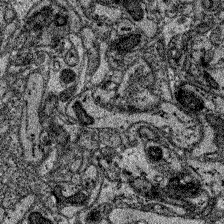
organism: Zebrafish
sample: Larval olfactory bulb